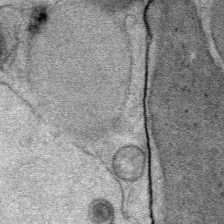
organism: Mouse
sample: Mouse Salivary gland